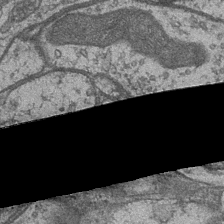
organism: Drosophila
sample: Optic medulla